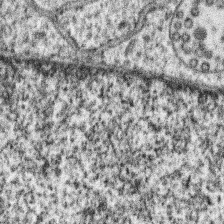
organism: Human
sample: HeLa cells